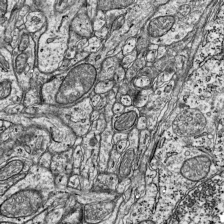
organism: Mouse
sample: Visual Cortex